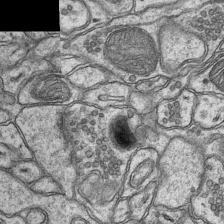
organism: Mouse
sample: CA1 Hippocampus